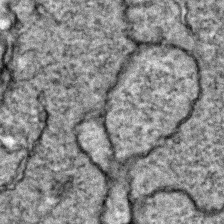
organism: Zebrafish